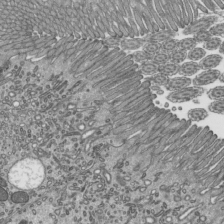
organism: Mouse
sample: Mouse epididymis efferent ductule cilia